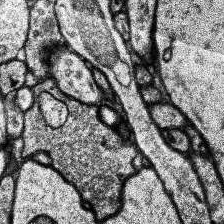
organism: Human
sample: Temporal Lobe